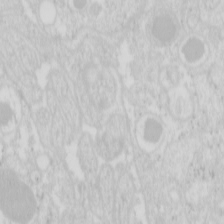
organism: Mouse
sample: Pancreas